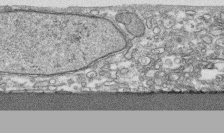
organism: Human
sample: CRL-1474